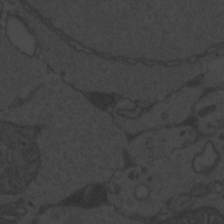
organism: Zebrafish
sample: Macrophage infected with Toxoplasma gondii